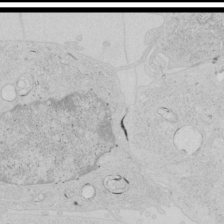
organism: Human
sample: Mitochondria in HCT116 cells